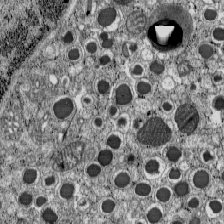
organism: C57BL Mouse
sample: Pancreatic islet